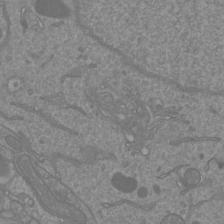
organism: Mouse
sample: Cortical neurons